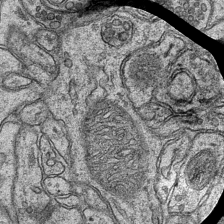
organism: Mouse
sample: CA1 Hippocampus